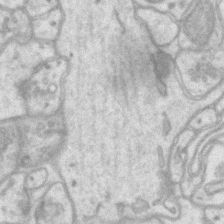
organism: Mouse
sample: CA1 Hippocampus